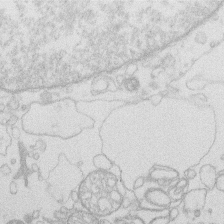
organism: Human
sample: Macrophage cells